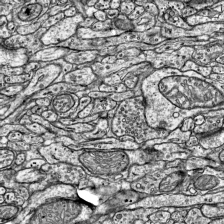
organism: Mouse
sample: Visual Cortex